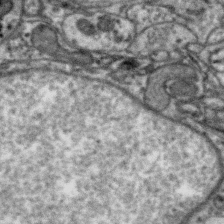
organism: Zebra finch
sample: Brain